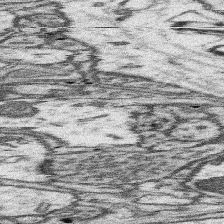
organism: Mouse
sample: Somatosensory cortex neuropil